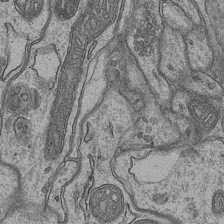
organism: Mouse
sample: CA1 Hippocampus